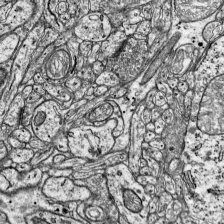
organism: Mouse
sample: Visual Cortex